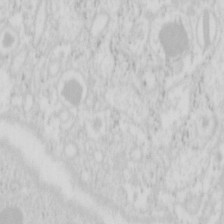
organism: Mouse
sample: Pancreas